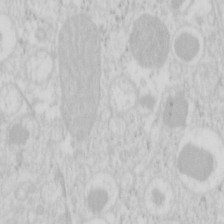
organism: Mouse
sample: Pancreas